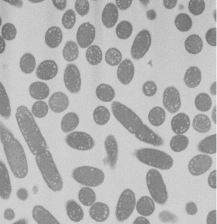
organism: E. coli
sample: Bacterial nucleoid